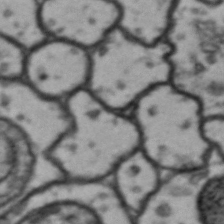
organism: Drosophila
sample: Brain